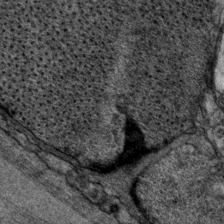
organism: P. pacificus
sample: Pharynx